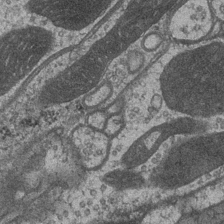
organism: Drosophila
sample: Optic medulla